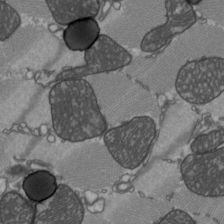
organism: C57BL Mouse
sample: Heart